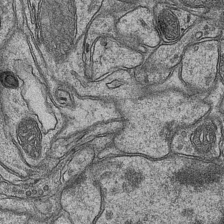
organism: Mouse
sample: CA1 Hippocampus